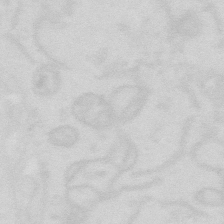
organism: Human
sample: HeLa cells